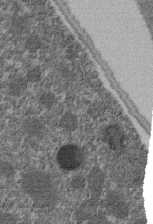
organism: C. elegans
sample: C. elegans embryo early stage